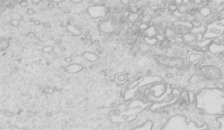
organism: Mouse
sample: Multiciliated cells